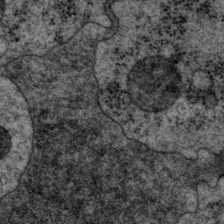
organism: P. pacificus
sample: Pharynx